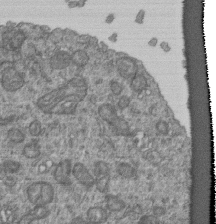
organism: Human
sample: Retinal organoid Rod and Cone cells